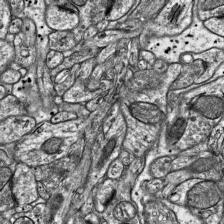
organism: Mouse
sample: Visual Cortex